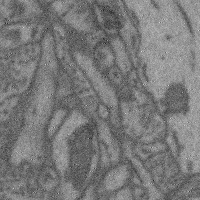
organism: Mouse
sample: Cerebral cortex